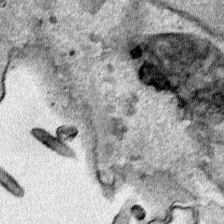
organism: Human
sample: Mitochondria in HCT116 cells